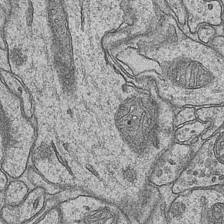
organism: Mouse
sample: CA1 Hippocampus